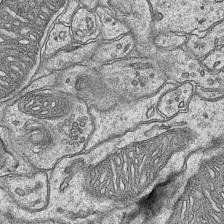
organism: Mouse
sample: CA1 Hippocampus